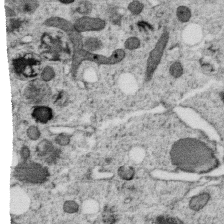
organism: C. elegans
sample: C. elegans oocyte; sperm cells